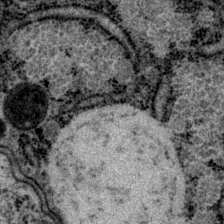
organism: P. pacificus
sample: Pharynx